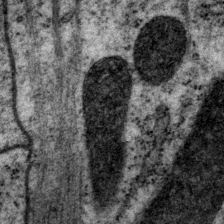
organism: P. pacificus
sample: Pharynx